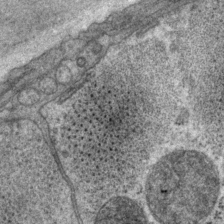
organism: P. pacificus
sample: Pharynx